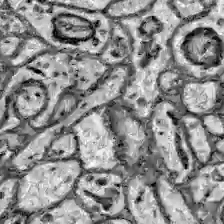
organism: Zebrafish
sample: Brain